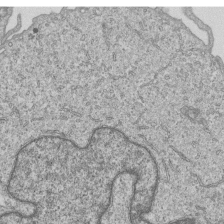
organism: Human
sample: MDA-MB-231 cells